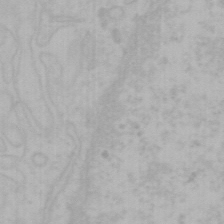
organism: Mouse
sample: Choroid plexus